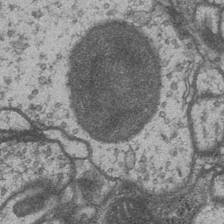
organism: Drosophila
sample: Optic medulla